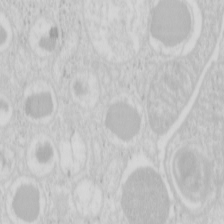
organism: Mouse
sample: Pancreas